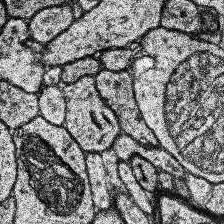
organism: Human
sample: Temporal Lobe